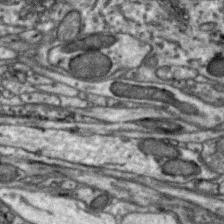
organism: Zebra finch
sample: Brain